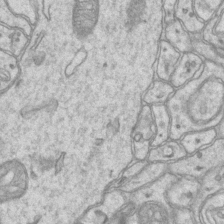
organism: Mouse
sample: CA1 Hippocampus